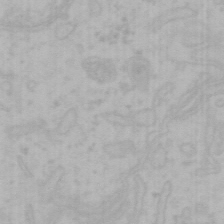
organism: Mouse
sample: Choroid plexus